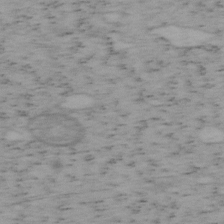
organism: Mouse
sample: OT-I killer T cells with ID8 ovarian cancer cells